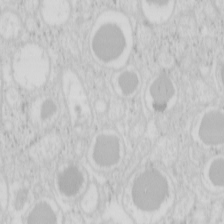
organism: Mouse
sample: Pancreas